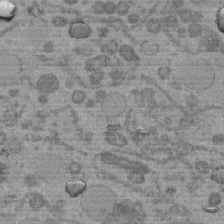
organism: C. elegans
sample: C. elegans embryo early stage